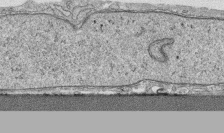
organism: Human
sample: CRL-1474